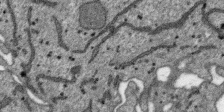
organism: Human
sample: Lung epithelial cells, uninfected (mock) control